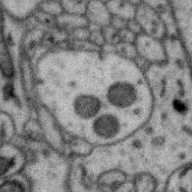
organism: Zebra finch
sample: Brain